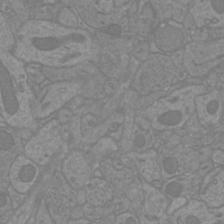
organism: Mouse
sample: Cortical neurons